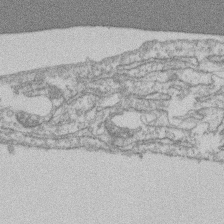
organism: Mouse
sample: T cell stromal cell synapse